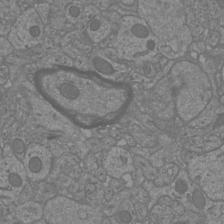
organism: Mouse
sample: Cortical neurons